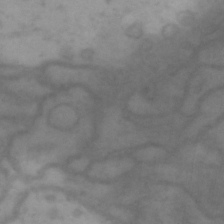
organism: Drosophila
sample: Brain